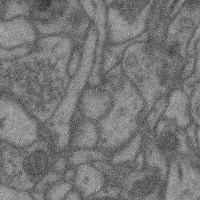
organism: Mouse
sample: Cerebral cortex